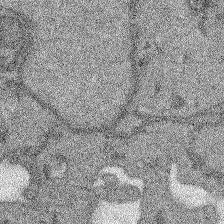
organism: Human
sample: HeLa cells